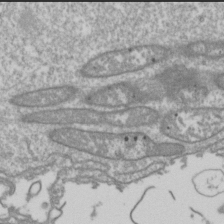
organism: Drosophila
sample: Cell division; meiosis; drosophila spermatocytes